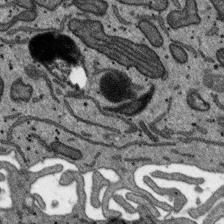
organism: Human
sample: Lung epithelial cells, uninfected (mock) control